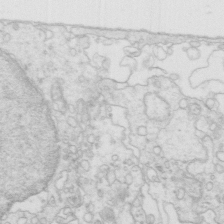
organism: Mouse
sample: Multiciliated cells